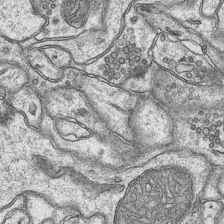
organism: Mouse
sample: CA1 Hippocampus